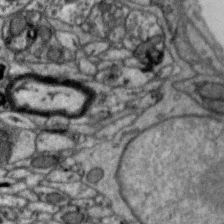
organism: Zebra finch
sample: Brain